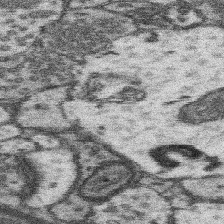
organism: Mouse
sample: Somatosensory cortex neuropil